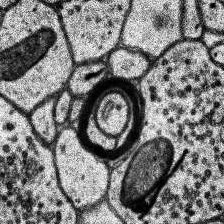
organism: Human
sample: Temporal Lobe